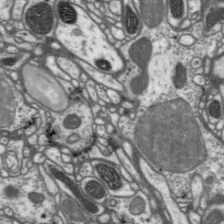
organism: Drosophila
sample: Protocerebral bridge